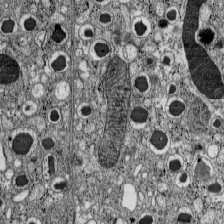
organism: C57BL Mouse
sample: Pancreatic islet